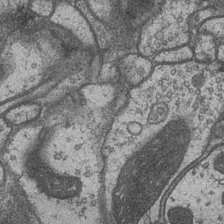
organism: Drosophila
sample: Optic medulla